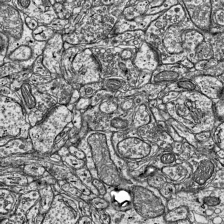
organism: Mouse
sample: Visual Cortex